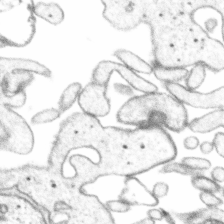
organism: Human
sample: HeLa cells